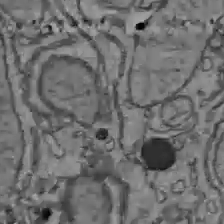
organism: C57BL Mouse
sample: Liver